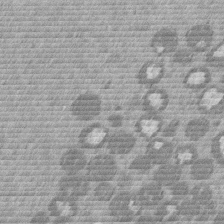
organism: Mouse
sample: Dividing mouse embryo 1 cell stage